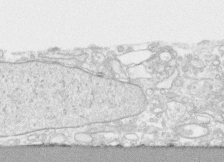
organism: Human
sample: CRL-1474